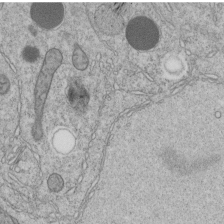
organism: C. elegans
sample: C. elegans embryo early stage